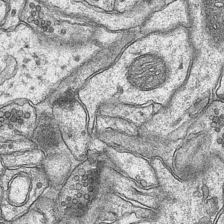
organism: Mouse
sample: CA1 Hippocampus